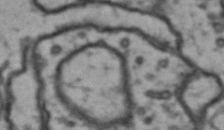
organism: Drosophila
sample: Brain